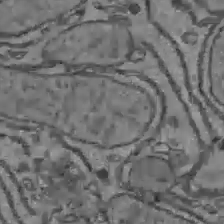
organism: C57BL Mouse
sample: Liver